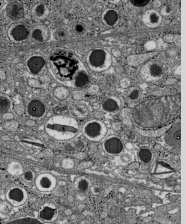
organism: C57BL Mouse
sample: Pancreatic islet